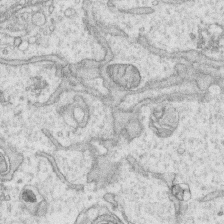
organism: Human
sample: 1205lu cells